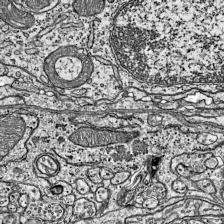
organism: Mouse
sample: Visual Cortex